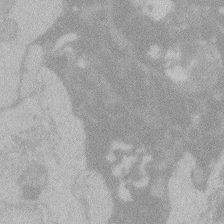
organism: Zebrafish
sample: Macrophage infected with Toxoplasma gondii